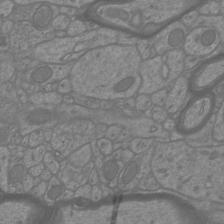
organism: Mouse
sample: Cortical neurons